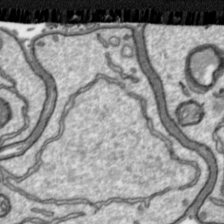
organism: Toxoplasma gondii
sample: Parasites in a vacuole inside a host cell